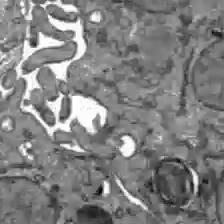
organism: C57BL Mouse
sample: Liver